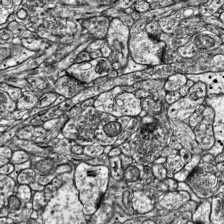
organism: Mouse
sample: Visual Cortex